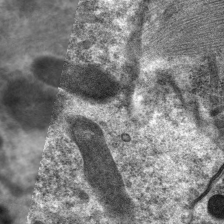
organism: C. elegans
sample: Pharynx